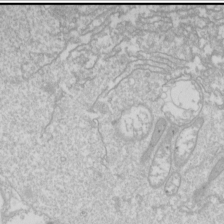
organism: Drosophila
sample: Cell division; meiosis; drosophila spermatocytes